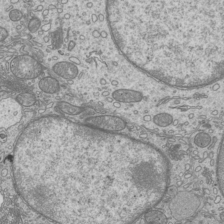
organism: Mouse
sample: Cilia; mouse epididymis